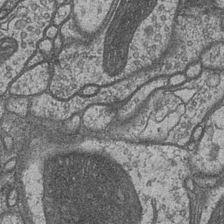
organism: Drosophila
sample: Optic medulla